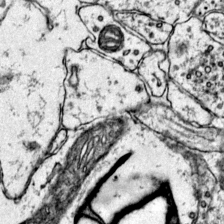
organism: Mouse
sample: Primary visual cortex